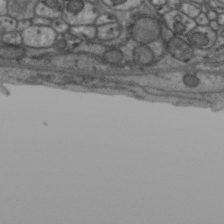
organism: Zebra finch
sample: Brain